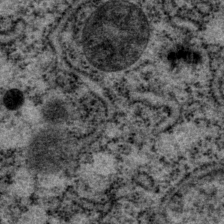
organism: P. pacificus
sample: Pharynx